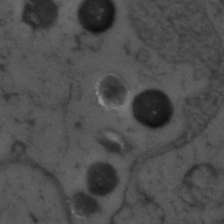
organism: Zebrafish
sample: Zebrafish embryo